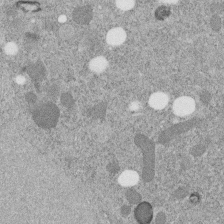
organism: C. elegans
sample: C. elegans embryo early stage